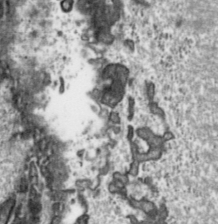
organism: Toxoplasma gondii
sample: Parasites in a vacuole inside a host cell